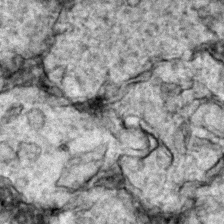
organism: Zebrafish